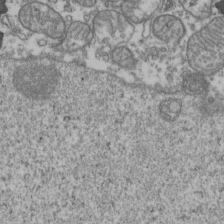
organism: Human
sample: Activated Jurkat CD4+ T cells